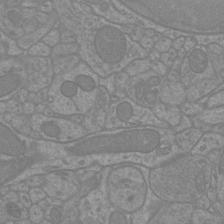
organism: Mouse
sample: Cortical neurons